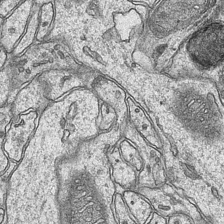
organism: Mouse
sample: CA1 Hippocampus